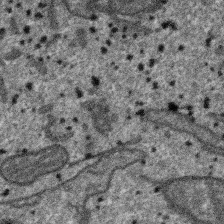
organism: Human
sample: Lung epithelial cells infected with SARS-CoV-2